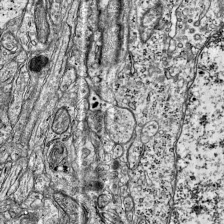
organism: Mouse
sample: Visual Cortex